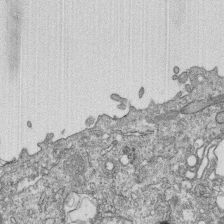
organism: Human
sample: HeLa cell HIV synapse